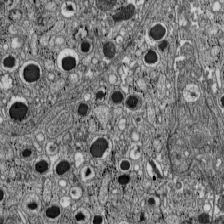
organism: C57BL Mouse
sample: Pancreatic islet